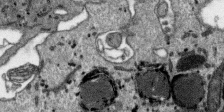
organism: Human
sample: Lung epithelial cells, uninfected (mock) control